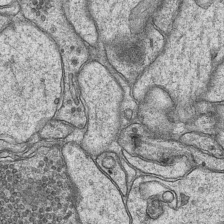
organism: Mouse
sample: CA1 Hippocampus